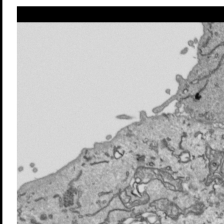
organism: Human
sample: Mitochondria in HCT116 cells